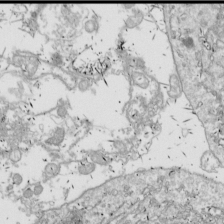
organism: Drosophila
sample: Cell division; meiosis; drosophila spermatocytes